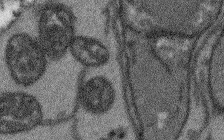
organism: Arabidopsis thaliana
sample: Root tip